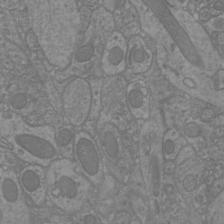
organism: Mouse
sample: Cortical neurons